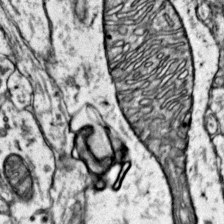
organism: Mouse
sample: Primary visual cortex